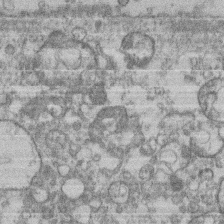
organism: Mouse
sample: T cell stromal cell synapse